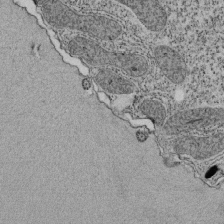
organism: Tetrahymena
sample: Cilia in tetrahymena